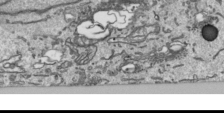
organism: Human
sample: Mitochondria in HCT116 cells